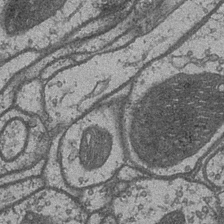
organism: Drosophila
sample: Optic medulla